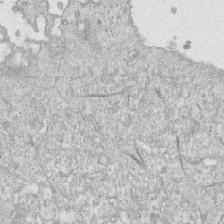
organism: Human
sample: HeLa cell HIV synapse